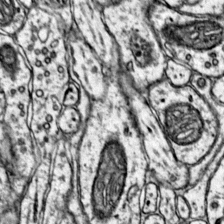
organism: Mouse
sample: Primary visual cortex